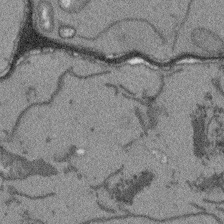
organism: Arabidopsis thaliana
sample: Root tip